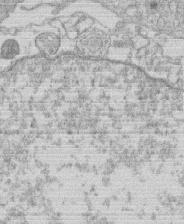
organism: Human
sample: Macrophage cells